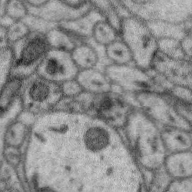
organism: Zebra finch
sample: Brain